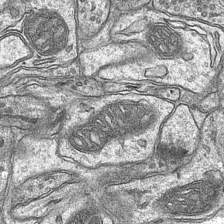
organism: Mouse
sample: CA1 Hippocampus